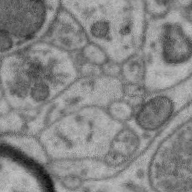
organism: Zebra finch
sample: Brain